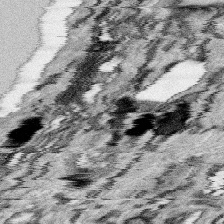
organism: Human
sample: HeLa cells